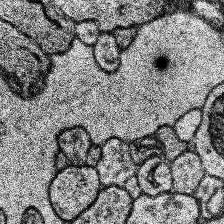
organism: Human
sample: Temporal Lobe